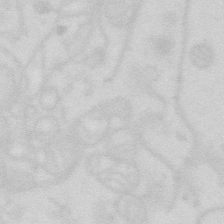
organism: Human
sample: HeLa cells